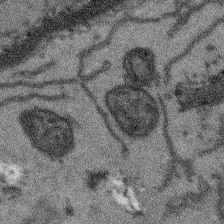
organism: Arabidopsis thaliana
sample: Root tip